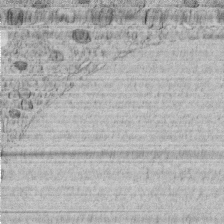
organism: C. elegans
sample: C. elegans embryo early stage